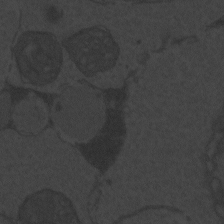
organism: Zebrafish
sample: Macrophage infected with Toxoplasma gondii